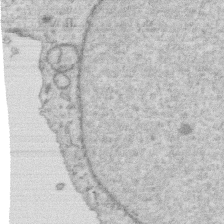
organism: Human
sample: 1205lu cells